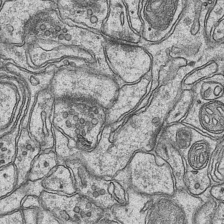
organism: Mouse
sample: CA1 Hippocampus